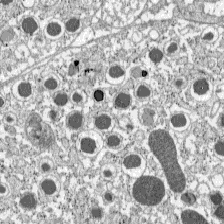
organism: C57BL Mouse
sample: Pancreatic islet